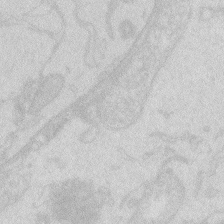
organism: Zebrafish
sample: Macrophage